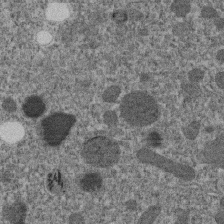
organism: C. elegans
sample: C. elegans embryo early stage